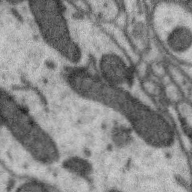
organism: Zebra finch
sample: Brain